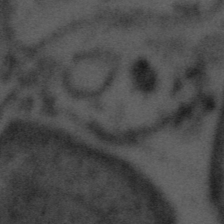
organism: Tuwongella immobilis